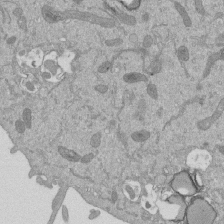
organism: Mouse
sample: ED-1 cell nuclei; centrioles